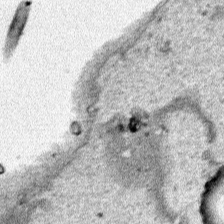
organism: Human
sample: Mitochondria in HCT116 cells